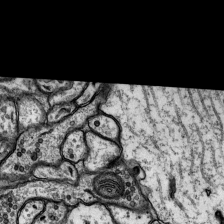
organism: Rat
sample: Hippocampus